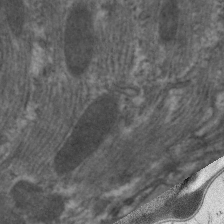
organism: C. elegans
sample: Pharynx